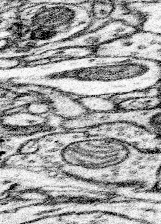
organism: Mouse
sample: Somatosensory cortex neuropil